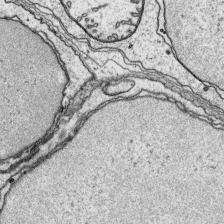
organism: Platynereis dumerilii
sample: Parapodia